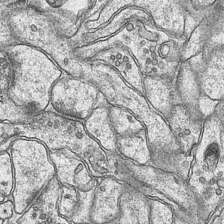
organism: Mouse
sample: CA1 Hippocampus